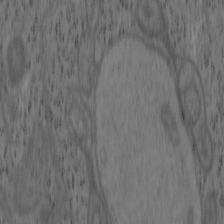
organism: Human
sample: HeLa cells